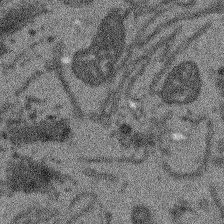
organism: Arabidopsis thaliana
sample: Root tip